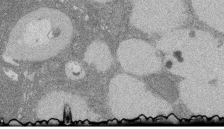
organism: Rat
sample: Salivary granule